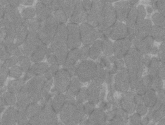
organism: C57BL Mouse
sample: Tibialis anterior muscle cell